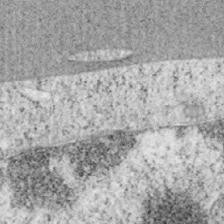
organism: Mouse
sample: OT-I killer T cells with ID8 ovarian cancer cells